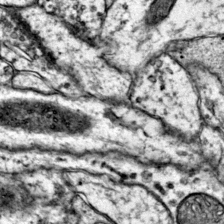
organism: Mouse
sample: Primary visual cortex